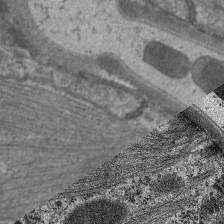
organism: C. elegans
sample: Pharynx